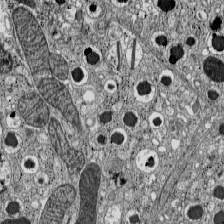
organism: C57BL Mouse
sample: Pancreatic islet